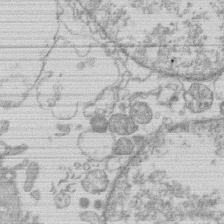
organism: Human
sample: Macrophage cells